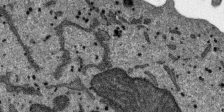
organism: Human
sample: Lung epithelial cells, uninfected (mock) control